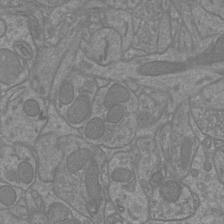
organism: Mouse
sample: Cortical neurons